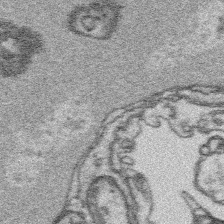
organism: Platynereis dumerilii